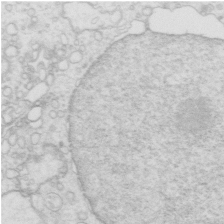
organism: Mouse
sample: Multiciliated cells